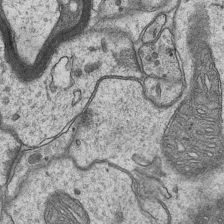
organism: Mouse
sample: CA1 Hippocampus